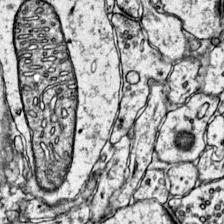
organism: Mouse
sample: Primary visual cortex